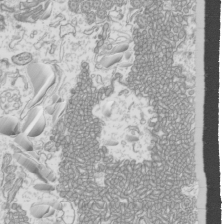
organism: Mouse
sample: Cilia; mouse epididymis